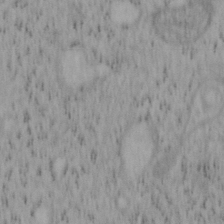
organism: Mouse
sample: OT-I killer T cells with ID8 ovarian cancer cells